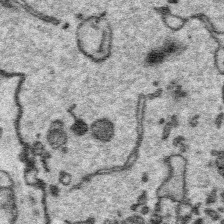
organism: Platynereis dumerilii